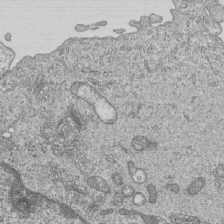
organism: Human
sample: MDA-MB-231 cells